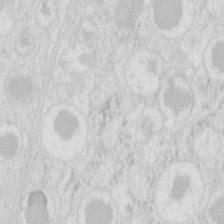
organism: Mouse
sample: Pancreas